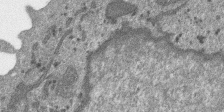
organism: Human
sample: Lung epithelial cells infected with SARS-CoV-2